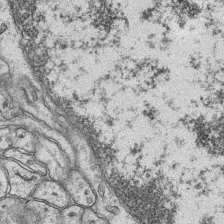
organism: Mouse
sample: CA1 Hippocampus